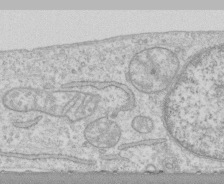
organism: Human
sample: CRL-1474